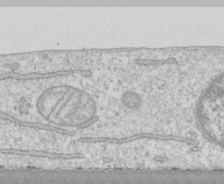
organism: Human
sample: CRL-1474